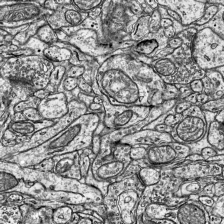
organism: Mouse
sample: Visual Cortex